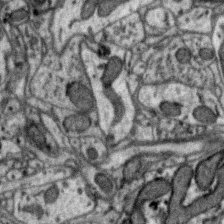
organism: Zebra finch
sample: Brain